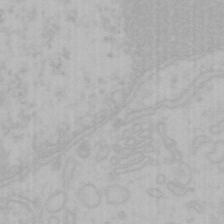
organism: Mouse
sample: Choroid plexus